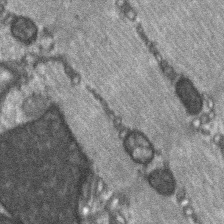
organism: C57BL Mouse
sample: Soleus